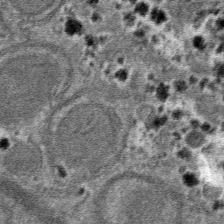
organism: Mouse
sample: Mouse hepatocytes